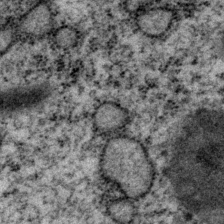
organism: P. pacificus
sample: Pharynx